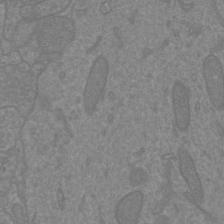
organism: Mouse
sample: Cortical neurons